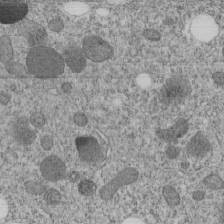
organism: C. elegans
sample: C. elegans embryo early stage